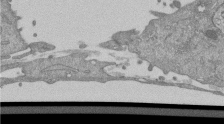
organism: Mouse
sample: ED-1 cell nuclei; centrioles